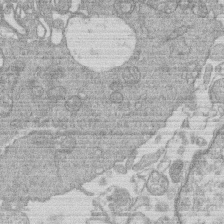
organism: Human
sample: Macrophage cells